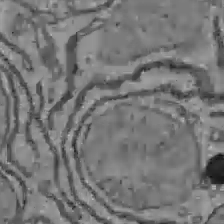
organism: C57BL Mouse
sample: Liver